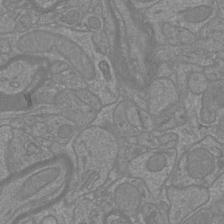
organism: Mouse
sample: Cortical neurons